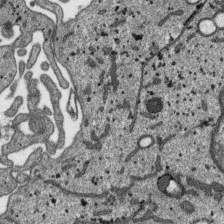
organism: Human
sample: Lung epithelial cells infected with SARS-CoV-2